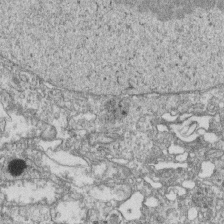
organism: Human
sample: HeLa cell HIV synapse